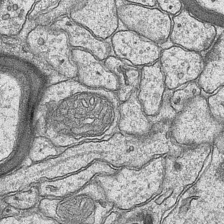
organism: Mouse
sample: CA1 Hippocampus